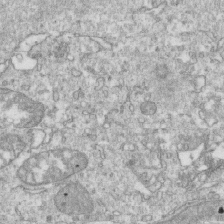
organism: Mouse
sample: Activated OT-1 CD8+ T cells